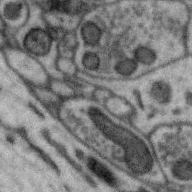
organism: Zebra finch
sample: Brain